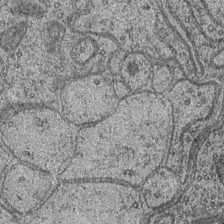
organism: Drosophila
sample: Optic medulla